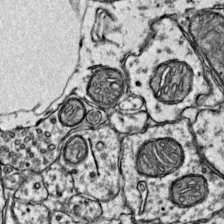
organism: Mouse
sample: Primary visual cortex